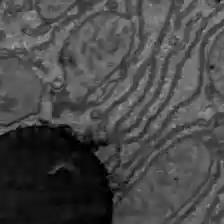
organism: C57BL Mouse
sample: Liver